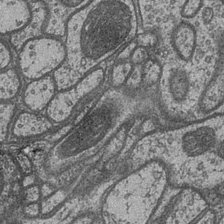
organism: Drosophila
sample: Optic medulla